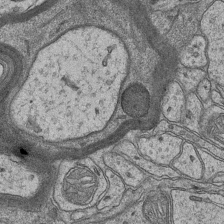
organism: Mouse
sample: CA1 Hippocampus